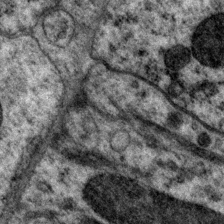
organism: P. pacificus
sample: Pharynx